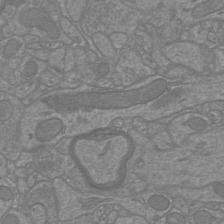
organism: Mouse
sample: Cortical neurons